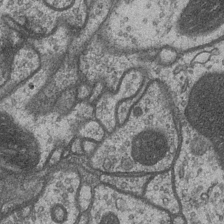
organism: Drosophila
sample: Optic medulla